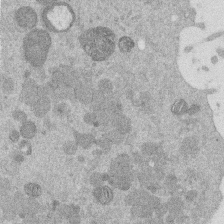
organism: Mouse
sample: Dividing mouse embryo 1 cell stage